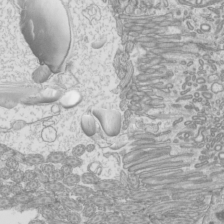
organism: Mouse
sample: Cilia; mouse epididymis